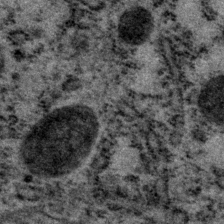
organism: P. pacificus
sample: Pharynx